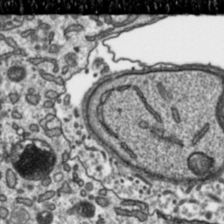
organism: Toxoplasma gondii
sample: Parasites in a vacuole inside a host cell